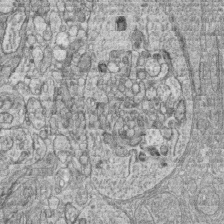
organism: Zebrafish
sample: synaptic ribbons in rod cells and cone cells